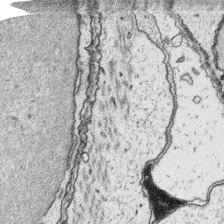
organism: Platynereis dumerilii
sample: Parapodia